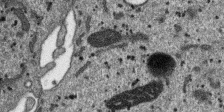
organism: Human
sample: Lung epithelial cells infected with SARS-CoV-2